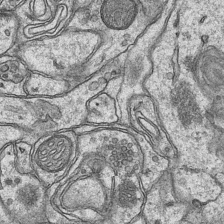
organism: Mouse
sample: CA1 Hippocampus